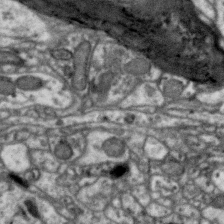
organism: Zebra finch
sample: Brain